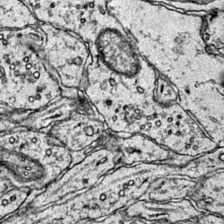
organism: Mouse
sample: Primary visual cortex